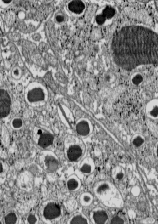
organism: C57BL Mouse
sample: Pancreatic islet